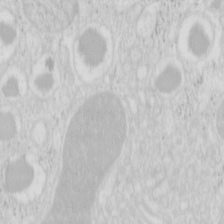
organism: Mouse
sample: Pancreas